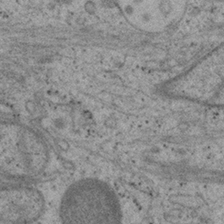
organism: Human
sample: HeLa cells